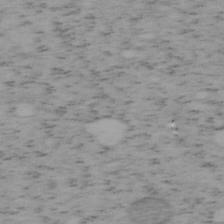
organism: Mouse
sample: OT-I killer T cells with ID8 ovarian cancer cells